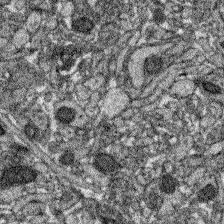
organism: Zebrafish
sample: Larval olfactory bulb